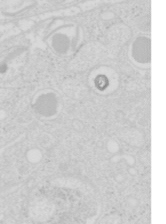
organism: Mouse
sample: Pancreas